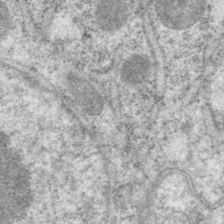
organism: P. pacificus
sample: Pharynx